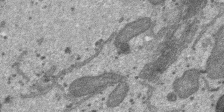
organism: Human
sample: Lung epithelial cells infected with SARS-CoV-2